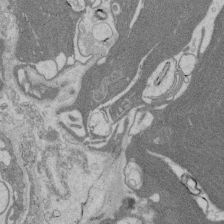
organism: Rat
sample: Salivary granule